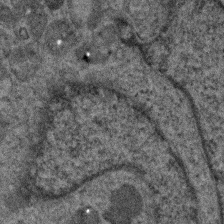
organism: Human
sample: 1205lu cells